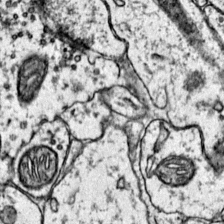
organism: Mouse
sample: Primary visual cortex